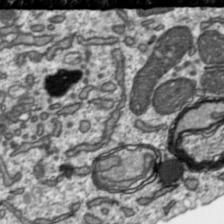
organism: Toxoplasma gondii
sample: Parasites in a vacuole inside a host cell